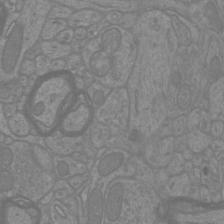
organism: Mouse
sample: Cortical neurons